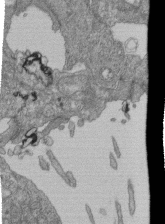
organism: Human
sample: Retinal organoid Rod and Cone cells